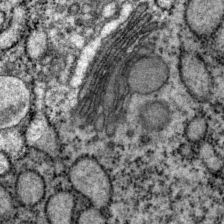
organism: P. pacificus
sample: Pharynx